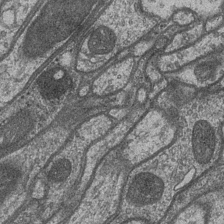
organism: Drosophila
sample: Optic medulla